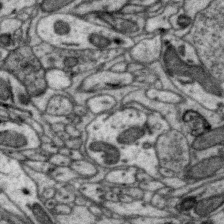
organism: Zebra finch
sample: Brain